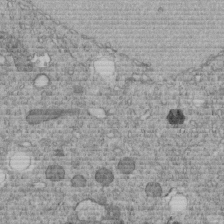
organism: C. elegans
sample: C. elegans embryo early stage